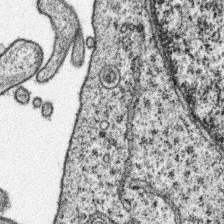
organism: Human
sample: HeLa cells